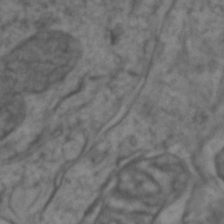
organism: Zebrafish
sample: Zebrafish embryo